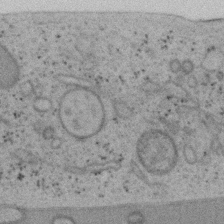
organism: Human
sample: HeLa cells